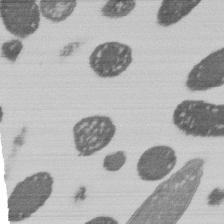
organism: E. coli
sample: Bacterial nucleoid